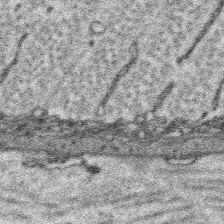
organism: Platynereis dumerilii